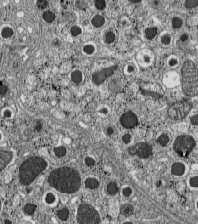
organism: C57BL Mouse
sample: Pancreatic islet